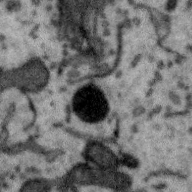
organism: Zebra finch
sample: Brain